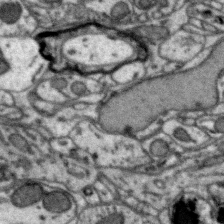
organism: Zebra finch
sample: Brain